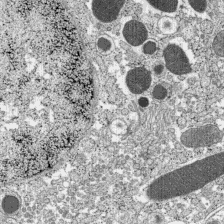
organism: C57BL Mouse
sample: Pancreatic islet